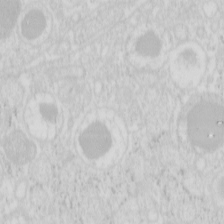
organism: Mouse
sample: Pancreas